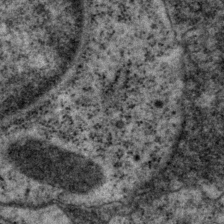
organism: P. pacificus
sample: Pharynx